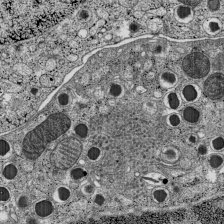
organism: C57BL Mouse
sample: Pancreatic islet